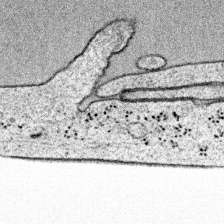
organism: Human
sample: HeLa cells